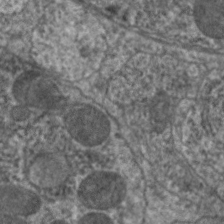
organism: C. elegans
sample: Pharynx